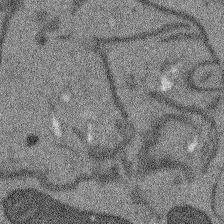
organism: Arabidopsis thaliana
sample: Root tip